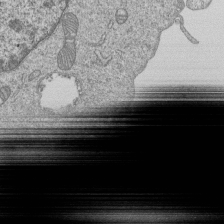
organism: Human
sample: MDA-MB-231 cells